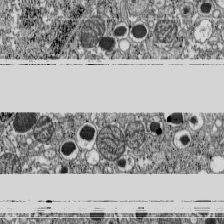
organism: C57BL Mouse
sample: Pancreatic islet